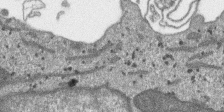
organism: Human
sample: Lung epithelial cells infected with SARS-CoV-2